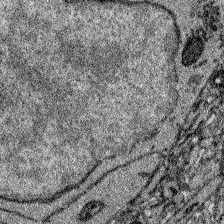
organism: Zebrafish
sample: Larval olfactory bulb